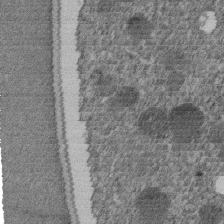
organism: C. elegans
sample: C. elegans embryo early stage